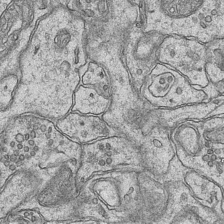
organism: Mouse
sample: CA1 Hippocampus